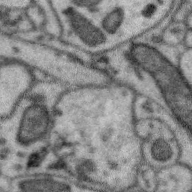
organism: Zebra finch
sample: Brain